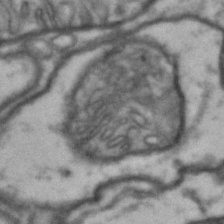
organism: Drosophila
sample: Brain